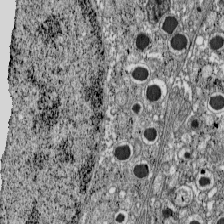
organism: C57BL Mouse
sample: Pancreatic islet